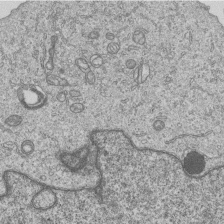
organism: Human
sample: MDA-MB-231 cells